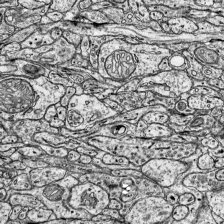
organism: Mouse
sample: Visual Cortex